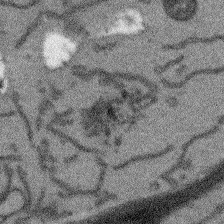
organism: Arabidopsis thaliana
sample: Root tip